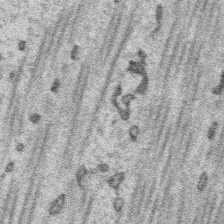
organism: Platynereis dumerilii